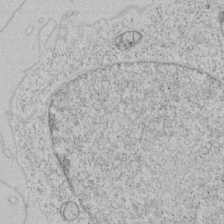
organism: Human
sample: Mitochondria in HCT116 cells